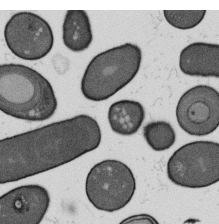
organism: B. subtilis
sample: Bacterial spore